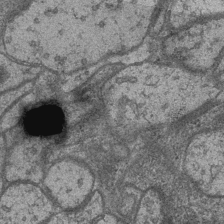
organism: Drosophila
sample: Optic medulla